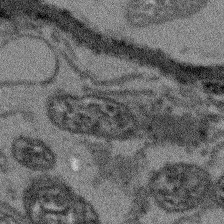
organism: Arabidopsis thaliana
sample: Root tip